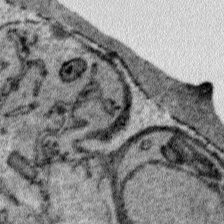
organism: Plasmodium falciparum